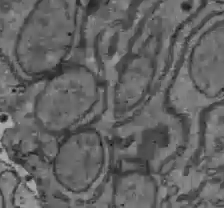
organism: C57BL Mouse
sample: Liver